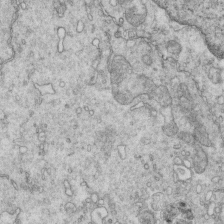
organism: Mouse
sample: Multiciliated cells